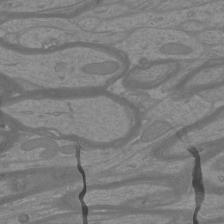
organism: Mouse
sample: Cortical neurons